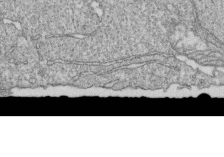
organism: Human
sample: HeLa cell HIV synapse